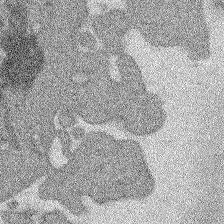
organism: Human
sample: HeLa cells